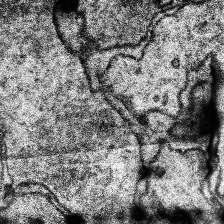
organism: Human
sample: Temporal Lobe